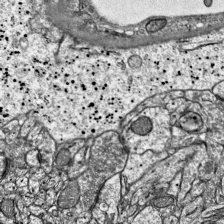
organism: Mouse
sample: Visual Cortex